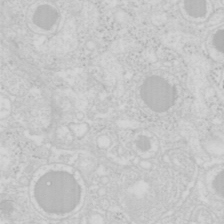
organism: Mouse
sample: Pancreas